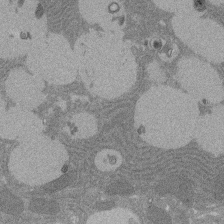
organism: Rat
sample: Salivary granule